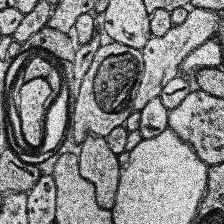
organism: Human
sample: Temporal Lobe